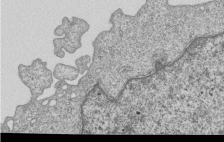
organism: Human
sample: MDA-MB-231 cells